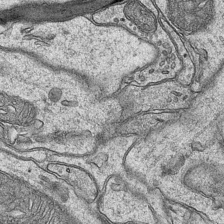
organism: Mouse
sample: CA1 Hippocampus